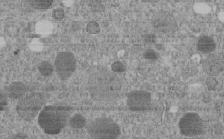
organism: C. elegans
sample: C. elegans embryo early stage